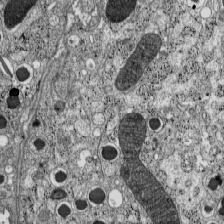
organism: C57BL Mouse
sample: Pancreatic islet